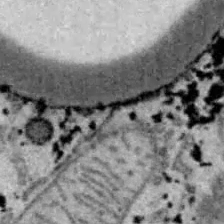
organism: Mouse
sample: Liver from an obese (ob/ob) mouse